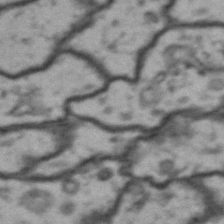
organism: Drosophila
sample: Brain